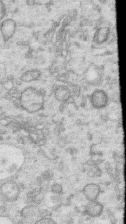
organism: Human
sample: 1205lu cells